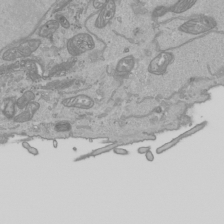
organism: Human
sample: Mitochondria in HCT116 cells